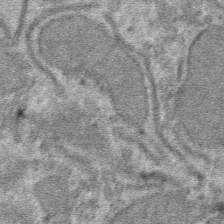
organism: Mouse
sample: Mouse hepatocytes